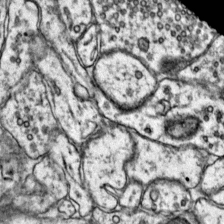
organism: Mouse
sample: Primary visual cortex